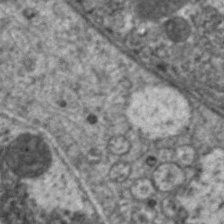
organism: C. elegans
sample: Pharynx